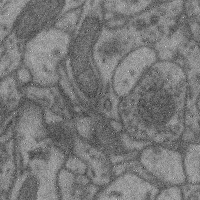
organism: Mouse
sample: Cerebral cortex